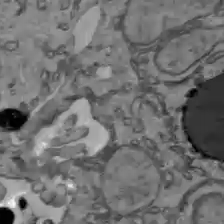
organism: C57BL Mouse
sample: Liver